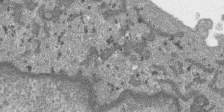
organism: Human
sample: Lung epithelial cells infected with SARS-CoV-2